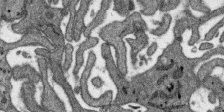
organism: Human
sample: Lung epithelial cells, uninfected (mock) control